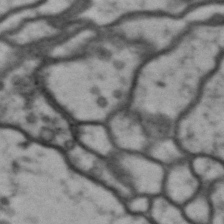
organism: Drosophila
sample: Brain